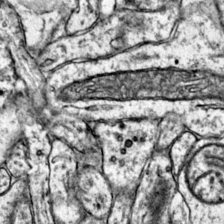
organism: Mouse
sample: Primary visual cortex